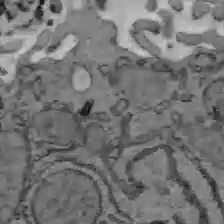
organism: C57BL Mouse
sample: Liver